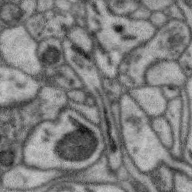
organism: Zebra finch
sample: Brain